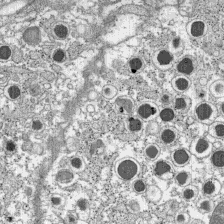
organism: C57BL Mouse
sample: Pancreatic islet